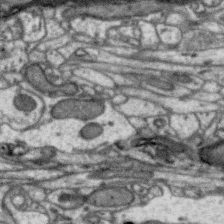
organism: Zebra finch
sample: Brain